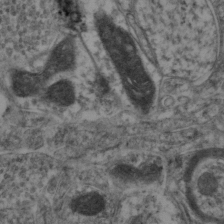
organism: Mouse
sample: Neocortex